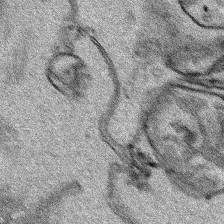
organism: Human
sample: Mitochondria in HCT116 cells